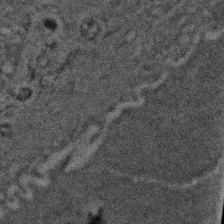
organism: Zebrafish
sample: Zebrafish embryo